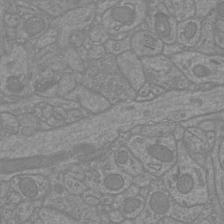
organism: Mouse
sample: Cortical neurons